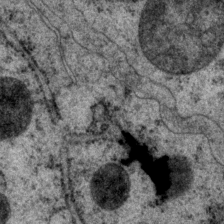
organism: P. pacificus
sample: Pharynx